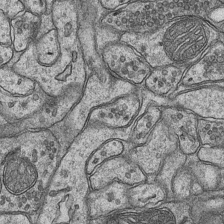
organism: Mouse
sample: CA1 Hippocampus